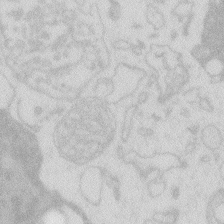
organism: Zebrafish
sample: Macrophage